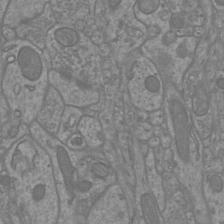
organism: Mouse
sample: Cortical neurons